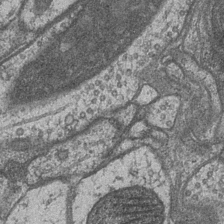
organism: Drosophila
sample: Optic medulla